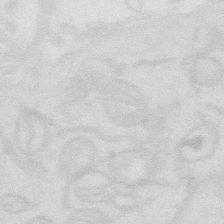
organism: Human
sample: HeLa cells